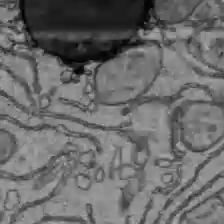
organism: C57BL Mouse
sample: Liver